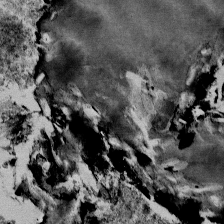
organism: Mouse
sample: Mouse Salivary gland